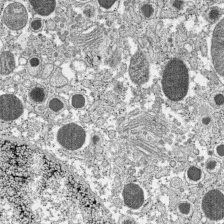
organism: C57BL Mouse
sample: Pancreatic islet